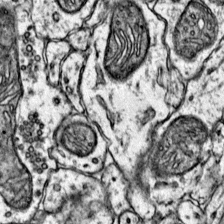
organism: Mouse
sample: Primary visual cortex